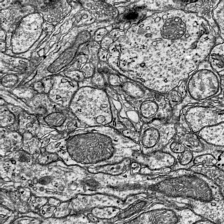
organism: Mouse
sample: Visual Cortex